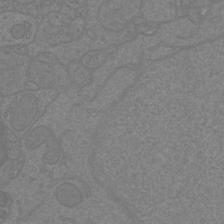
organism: Mouse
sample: Cortical neurons